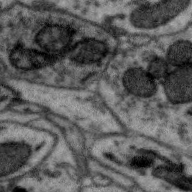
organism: Zebra finch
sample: Brain